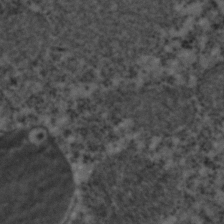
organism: C. elegans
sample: C. elegans embryo